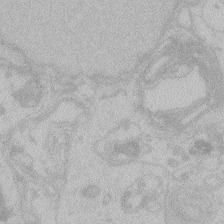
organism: Zebrafish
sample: Macrophage infected with Toxoplasma gondii